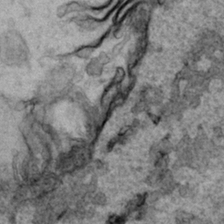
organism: Human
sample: Mitochondria in HCT116 cells